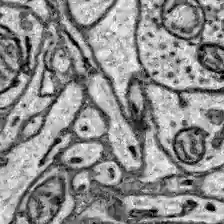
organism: Zebrafish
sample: Brain